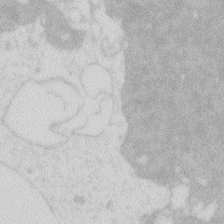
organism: Zebrafish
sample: Macrophage